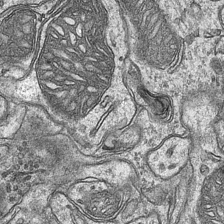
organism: Mouse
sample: CA1 Hippocampus